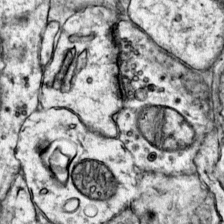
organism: Mouse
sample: Primary visual cortex